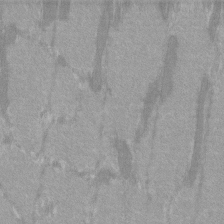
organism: C57BL Mouse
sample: Tibialis anterior muscle cell